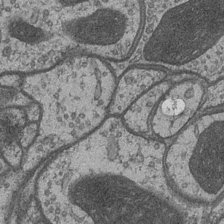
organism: Drosophila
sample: Optic medulla